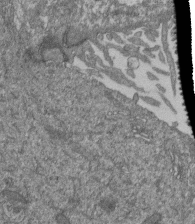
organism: Human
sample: Retinal organoid Rod and Cone cells